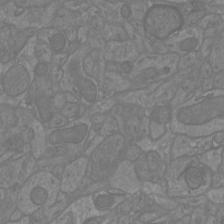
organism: Mouse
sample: Cortical neurons